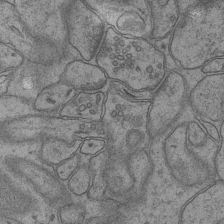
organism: Mouse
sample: CA1 Hippocampus